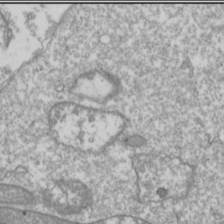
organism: Drosophila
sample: Cell division; meiosis; drosophila spermatocytes